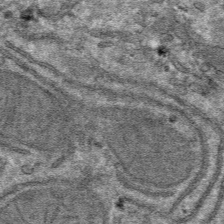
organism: Mouse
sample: Mouse hepatocytes